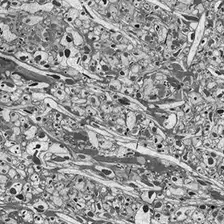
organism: Drosophila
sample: Optic lobe